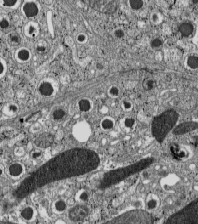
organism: C57BL Mouse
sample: Pancreatic islet